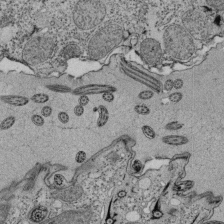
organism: Tetrahymena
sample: Cilia in tetrahymena